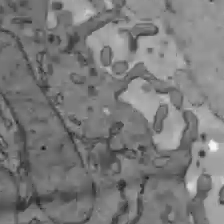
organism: C57BL Mouse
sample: Liver